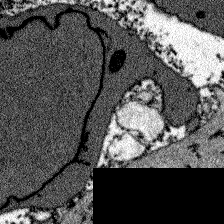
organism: Zebrafish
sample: Larval olfactory bulb